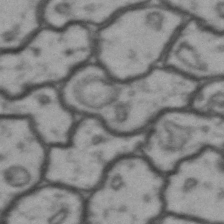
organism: Drosophila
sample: Brain